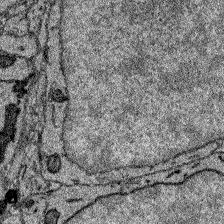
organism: Zebrafish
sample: Larval olfactory bulb